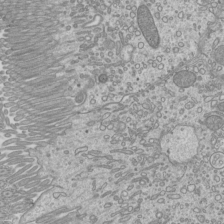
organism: Mouse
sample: Cilia; mouse epididymis